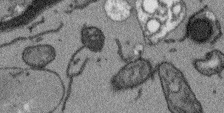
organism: Arabidopsis thaliana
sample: Root tip